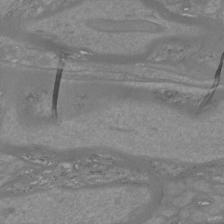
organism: Mouse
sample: Cortical neurons